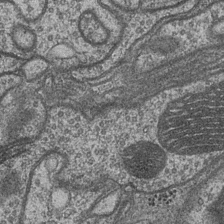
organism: Drosophila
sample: Optic medulla